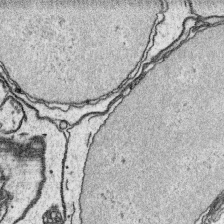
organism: Platynereis dumerilii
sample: Parapodia